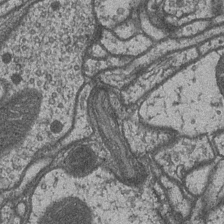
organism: Drosophila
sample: Optic medulla